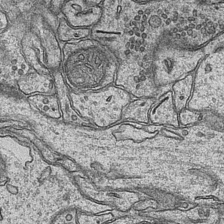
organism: Mouse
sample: CA1 Hippocampus